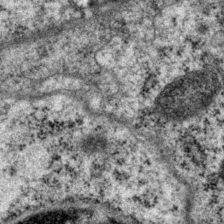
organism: P. pacificus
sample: Pharynx